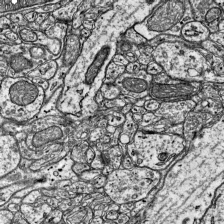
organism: Mouse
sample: Visual Cortex